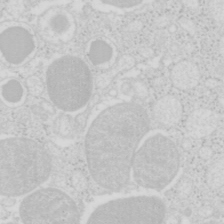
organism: Mouse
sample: Pancreas